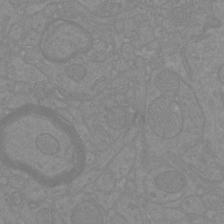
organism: Mouse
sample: Cortical neurons